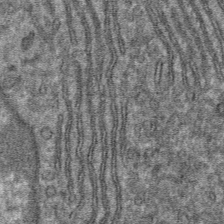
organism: Mouse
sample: Mouse hepatocytes